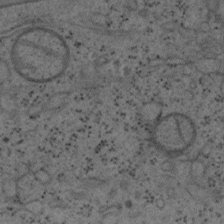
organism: Human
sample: HeLa cells